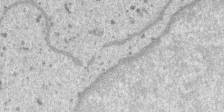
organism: Human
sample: Lung epithelial cells infected with SARS-CoV-2